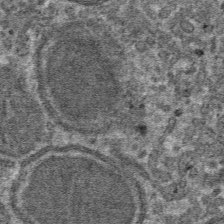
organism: Mouse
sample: Mouse hepatocytes